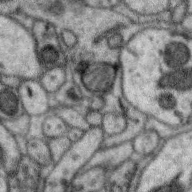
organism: Zebra finch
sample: Brain